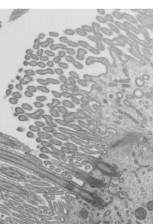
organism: Mouse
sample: Mouse epididymis efferent ductule cilia